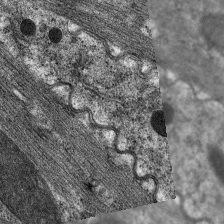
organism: C. elegans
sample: Pharynx